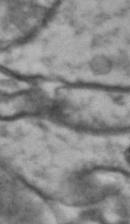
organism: Drosophila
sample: Brain